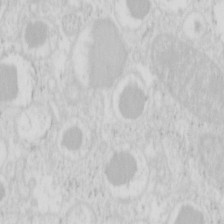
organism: Mouse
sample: Pancreas